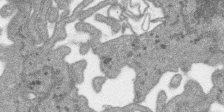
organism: Human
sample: Lung epithelial cells infected with SARS-CoV-2